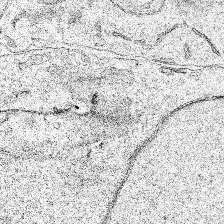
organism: Human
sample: Mitochondria in HCT116 cells